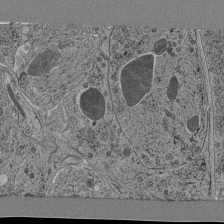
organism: C. elegans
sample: C. elegans pharynx